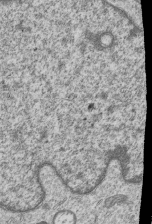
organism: Human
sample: MDA-MB-231 cells